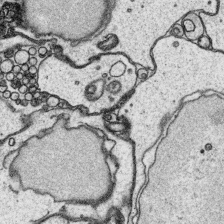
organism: Platynereis dumerilii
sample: Parapodia